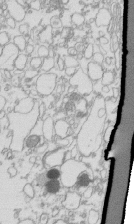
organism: Mouse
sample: Macrophages